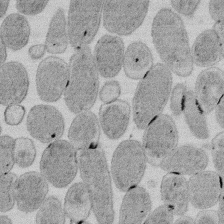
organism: E. coli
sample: Bacterial nucleoid